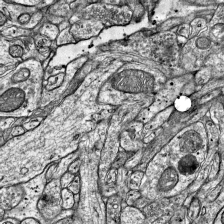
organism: Mouse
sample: Visual Cortex